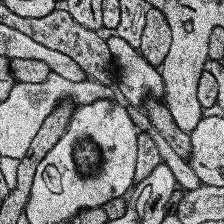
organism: Human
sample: Temporal Lobe